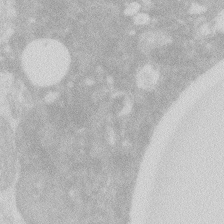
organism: Zebrafish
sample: Macrophage